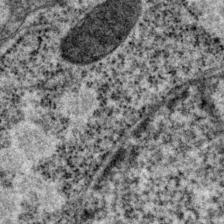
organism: P. pacificus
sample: Pharynx